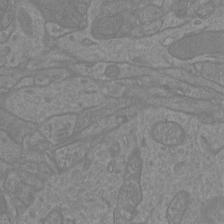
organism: Mouse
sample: Cortical neurons